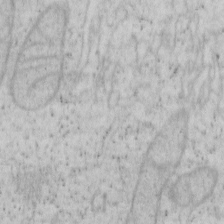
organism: Human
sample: HeLa cells